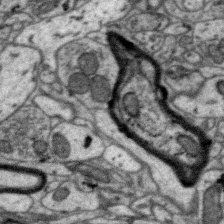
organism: Zebra finch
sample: Brain